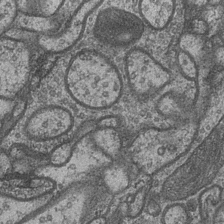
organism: Drosophila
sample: Optic medulla